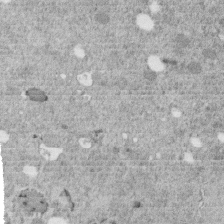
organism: C. elegans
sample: C. elegans embryo early stage